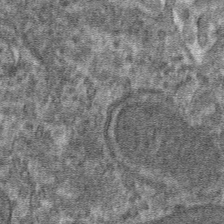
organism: Mouse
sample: Mouse hepatocytes